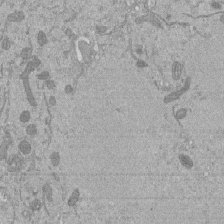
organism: Mouse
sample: ED-1 cell nuclei; centrioles